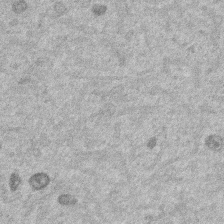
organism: Mouse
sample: Dividing mouse embryo 1 cell stage